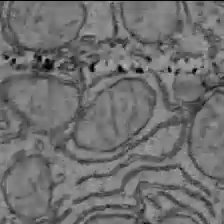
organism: C57BL Mouse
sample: Liver